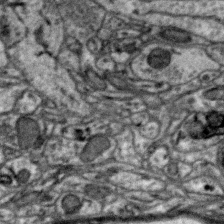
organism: Zebra finch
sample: Brain